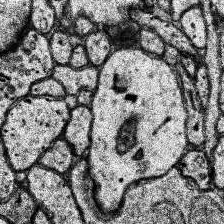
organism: Human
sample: Temporal Lobe